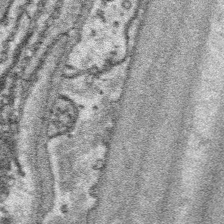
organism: Platynereis dumerilii